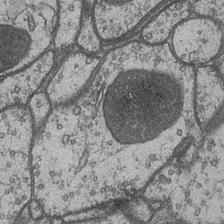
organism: Drosophila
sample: Optic medulla